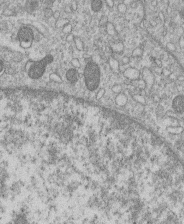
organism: Human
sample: Macrophage cells